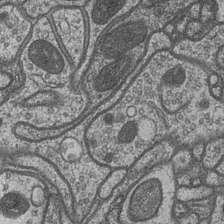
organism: Drosophila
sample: Optic medulla